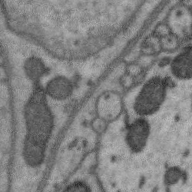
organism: Zebra finch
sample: Brain